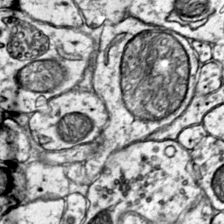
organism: Mouse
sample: Primary visual cortex